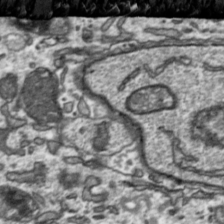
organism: Toxoplasma gondii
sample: Parasites in a vacuole inside a host cell